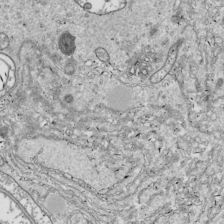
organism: Drosophila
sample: Cell division; meiosis; drosophila spermatocytes